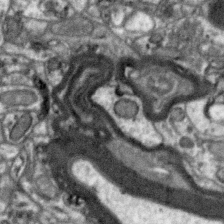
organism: Zebra finch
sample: Brain